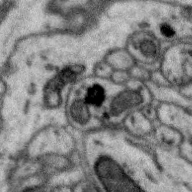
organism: Zebra finch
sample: Brain